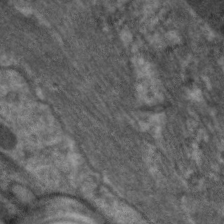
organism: C. elegans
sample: Pharynx